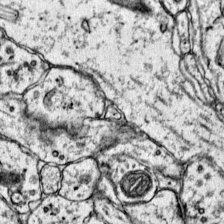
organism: Mouse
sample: Primary visual cortex